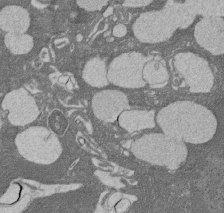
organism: Rat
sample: Salivary granule